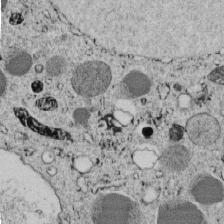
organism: C. elegans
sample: C. elegans embryo early stage